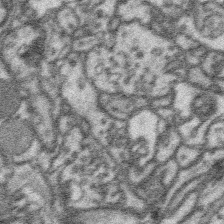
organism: Platynereis dumerilii